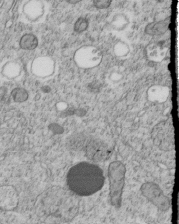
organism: C. elegans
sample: C. elegans embryo early stage